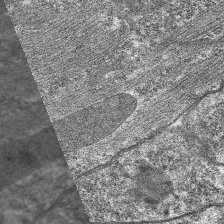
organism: C. elegans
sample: Pharynx